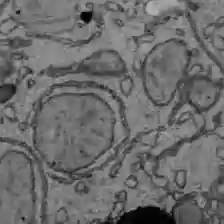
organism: C57BL Mouse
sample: Liver